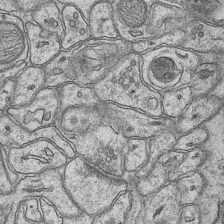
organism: Mouse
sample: CA1 Hippocampus